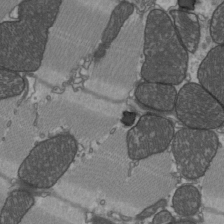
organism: C57BL Mouse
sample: Heart